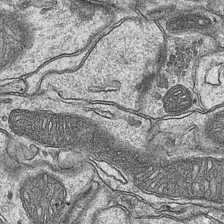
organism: Mouse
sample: CA1 Hippocampus